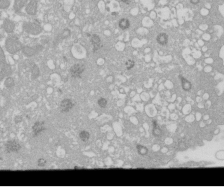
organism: Xenopus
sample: Cilia; centrioles in frog embryo cells